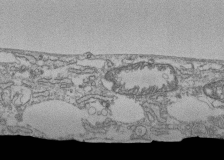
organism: Human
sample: Fibroblast cells